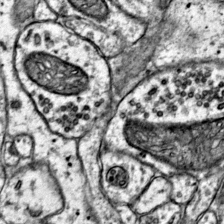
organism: Mouse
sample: Primary visual cortex